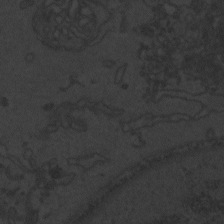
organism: Zebrafish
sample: Macrophage infected with Toxoplasma gondii